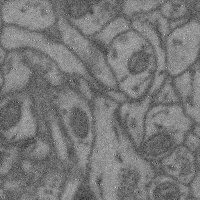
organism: Mouse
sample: Cerebral cortex